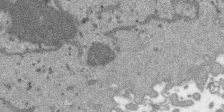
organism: Human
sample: Lung epithelial cells infected with SARS-CoV-2